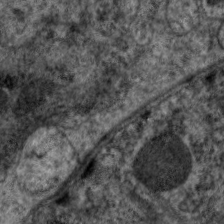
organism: C. elegans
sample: Pharynx